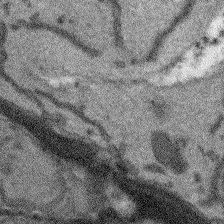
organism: Arabidopsis thaliana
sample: Root tip